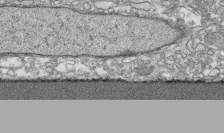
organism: Human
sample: CRL-1474